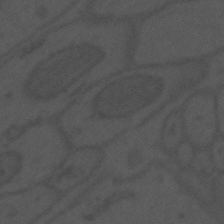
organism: Mouse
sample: Suprachiasmatic nucleus